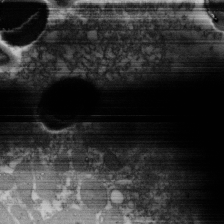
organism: Xenopus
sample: Cilia; centrioles in frog embryo cells